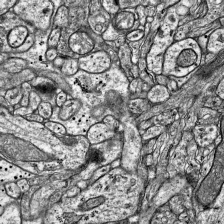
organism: Mouse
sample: Visual Cortex